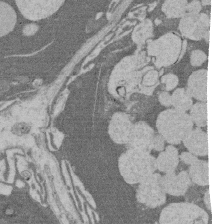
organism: Rat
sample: Salivary granule